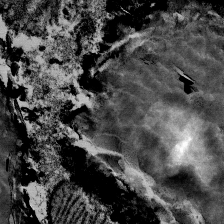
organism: Mouse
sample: Mouse Salivary gland